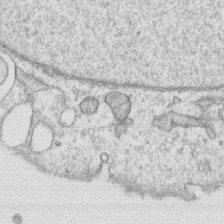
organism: Human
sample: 1205lu cells